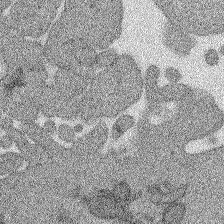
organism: Human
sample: HeLa cells